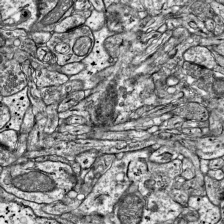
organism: Mouse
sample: Visual Cortex